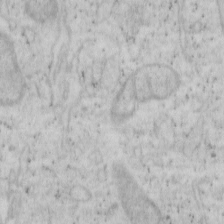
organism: Human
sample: HeLa cells